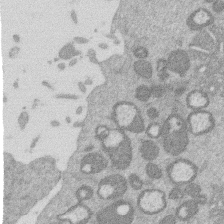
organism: Mouse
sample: Dividing mouse embryo 1 cell stage